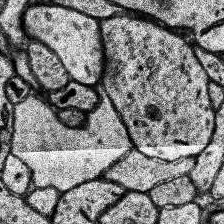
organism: Human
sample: Temporal Lobe